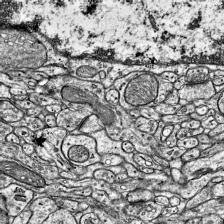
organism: Mouse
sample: Visual Cortex